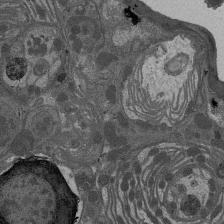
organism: Drosophila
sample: Antenna